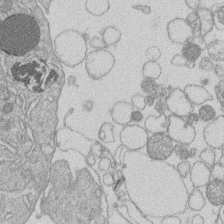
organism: Human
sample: Macrophage cells